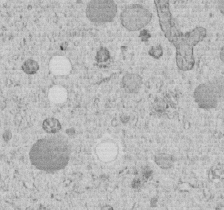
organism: C. elegans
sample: C. elegans embryo early stage